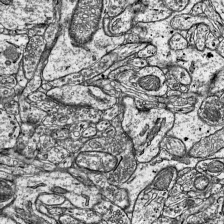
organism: Mouse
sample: Visual Cortex